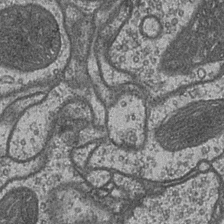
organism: Drosophila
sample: Optic medulla